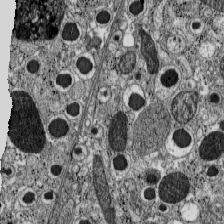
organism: C57BL Mouse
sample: Pancreatic islet